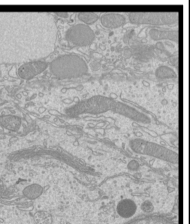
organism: Mouse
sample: Cilia; mouse epididymis